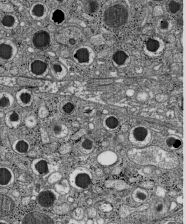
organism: C57BL Mouse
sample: Pancreatic islet